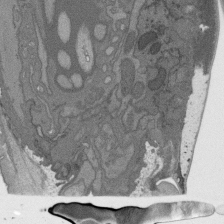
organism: C. elegans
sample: AFD neurons C. elegans